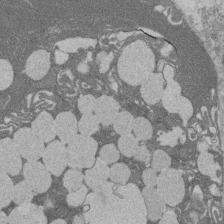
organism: Rat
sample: Salivary granule